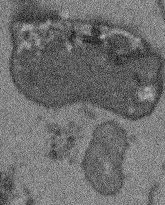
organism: Arabidopsis thaliana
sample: Root tip